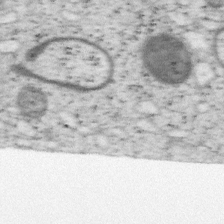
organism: Mouse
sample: OT-I killer T cells with ID8 ovarian cancer cells